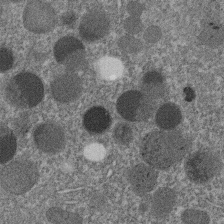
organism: C. elegans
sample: C. elegans embryo early stage